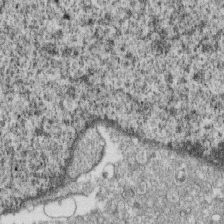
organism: African green monkey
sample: Vero E6 cells infected with SARS-CoV-2